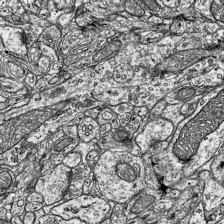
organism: Mouse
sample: Visual Cortex